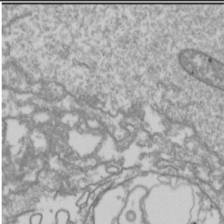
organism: Drosophila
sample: Cell division; meiosis; drosophila spermatocytes